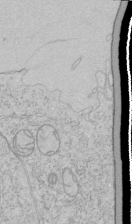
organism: Human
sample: Mitochondria in HCT116 cells